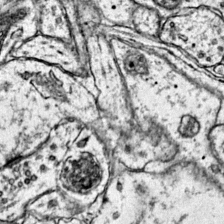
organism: Mouse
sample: Primary visual cortex